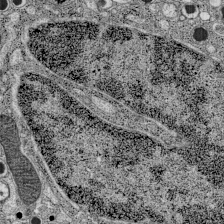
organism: C57BL Mouse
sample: Pancreatic islet